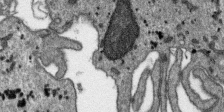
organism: Human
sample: Lung epithelial cells, uninfected (mock) control